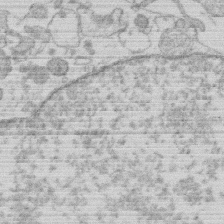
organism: Human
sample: Macrophage cells